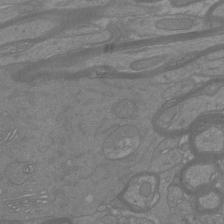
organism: Mouse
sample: Cortical neurons